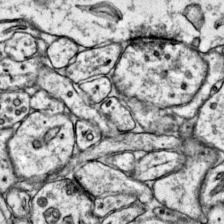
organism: Mouse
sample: Primary visual cortex